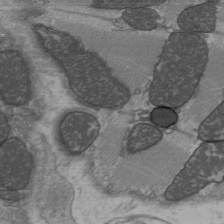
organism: C57BL Mouse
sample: Heart